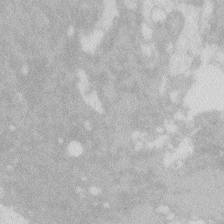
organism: Zebrafish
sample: Macrophage